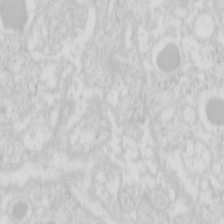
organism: Mouse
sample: Pancreas